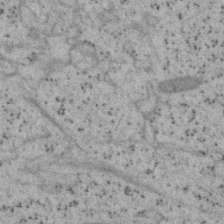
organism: Human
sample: HeLa cells